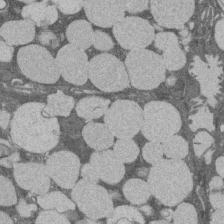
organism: Rat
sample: Salivary granule